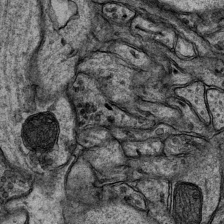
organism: Mouse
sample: CA1 Hippocampus